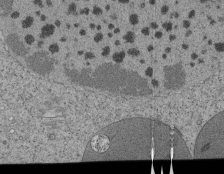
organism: Tetrahymena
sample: Cilia in tetrahymena